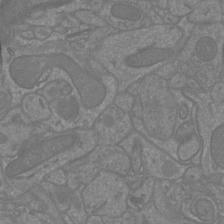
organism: Mouse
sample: Cortical neurons